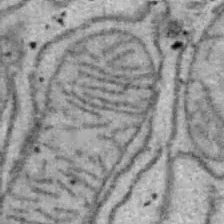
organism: Mouse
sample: Liver from an obese (ob/ob) mouse